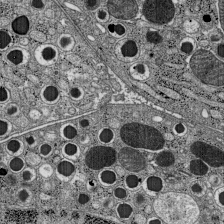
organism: C57BL Mouse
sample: Pancreatic islet